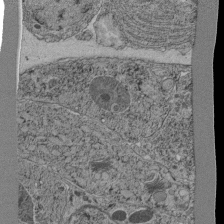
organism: C. elegans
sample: C. elegans pharynx